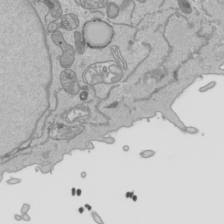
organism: Human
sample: Mitochondria in HCT116 cells